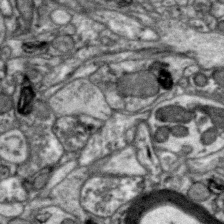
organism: Zebra finch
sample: Brain